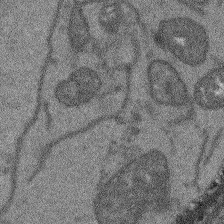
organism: Arabidopsis thaliana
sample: Root tip